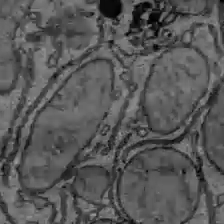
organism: C57BL Mouse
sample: Liver